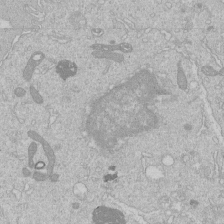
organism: Human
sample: Macrophage cells